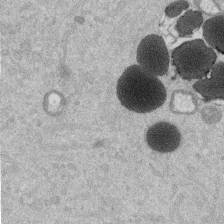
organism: Mouse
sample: Dividing mouse embryo 1 cell stage